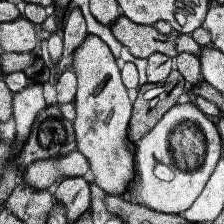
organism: Human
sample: Temporal Lobe